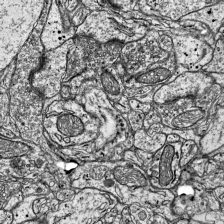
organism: Mouse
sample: Visual Cortex